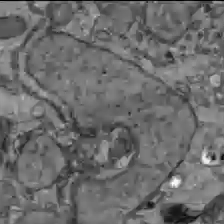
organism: C57BL Mouse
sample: Liver